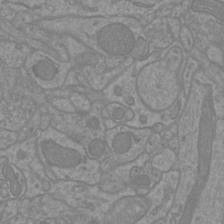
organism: Mouse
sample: Cortical neurons